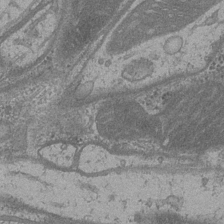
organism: Drosophila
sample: Optic medulla